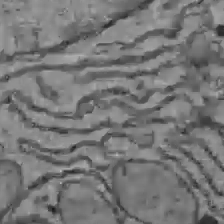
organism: C57BL Mouse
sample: Liver